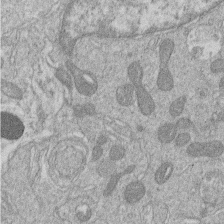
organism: Human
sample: Macrophage cells